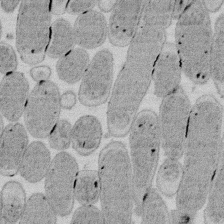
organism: E. coli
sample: Bacterial nucleoid